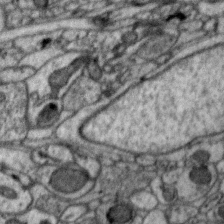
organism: Zebra finch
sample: Brain